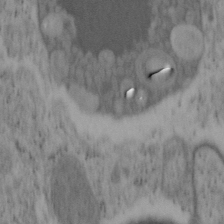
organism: Mouse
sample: OT-I killer T cells with ID8 ovarian cancer cells